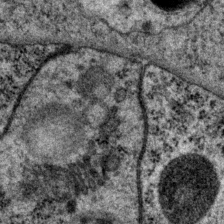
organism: P. pacificus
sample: Pharynx